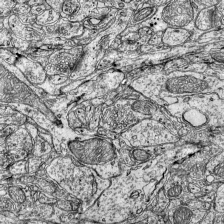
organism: Mouse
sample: Visual Cortex